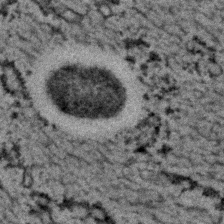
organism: C. elegans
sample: C. elegans embryo